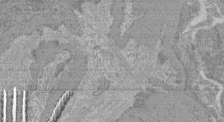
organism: Mouse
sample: Glomerulus